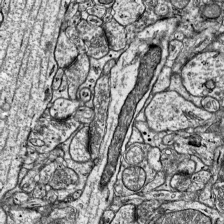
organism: Mouse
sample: Visual Cortex